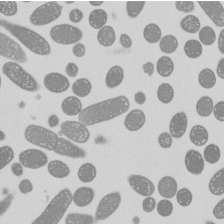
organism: E. coli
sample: Bacterial nucleoid